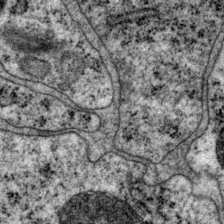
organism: P. pacificus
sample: Pharynx